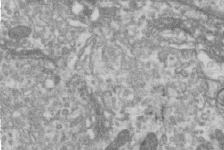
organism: Human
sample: Centriole in RPE cells